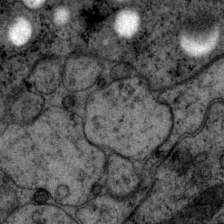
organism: P. pacificus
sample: Pharynx